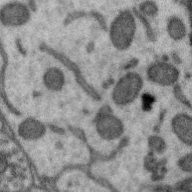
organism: Zebra finch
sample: Brain